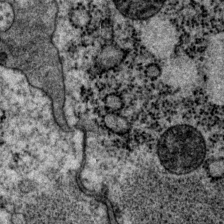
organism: P. pacificus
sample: Pharynx